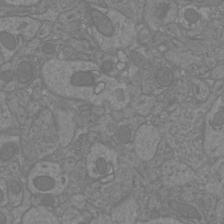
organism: Mouse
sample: Cortical neurons